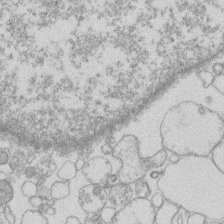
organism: Human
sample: Macrophage cells